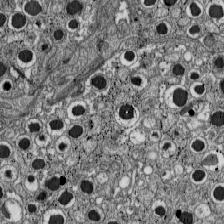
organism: C57BL Mouse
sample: Pancreatic islet